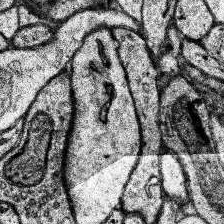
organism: Human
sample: Temporal Lobe